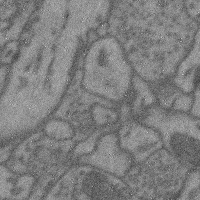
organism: Mouse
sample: Cerebral cortex